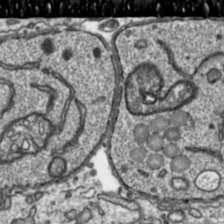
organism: Toxoplasma gondii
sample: Parasites in a vacuole inside a host cell